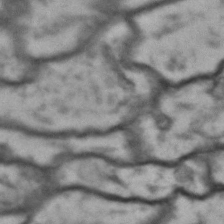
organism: Drosophila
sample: Brain